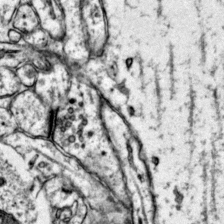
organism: Mouse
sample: Primary visual cortex